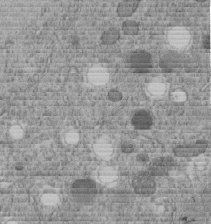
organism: C. elegans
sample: C. elegans embryo early stage